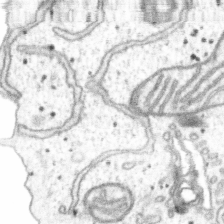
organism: Human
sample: HeLa cells